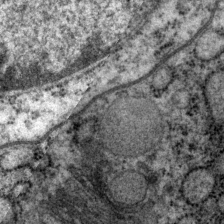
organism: P. pacificus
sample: Pharynx